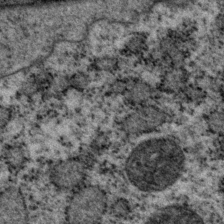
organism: P. pacificus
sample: Pharynx